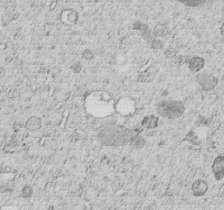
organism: C. elegans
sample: C. elegans embryo early stage